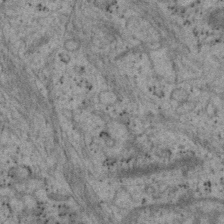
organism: Human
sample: HeLa cells